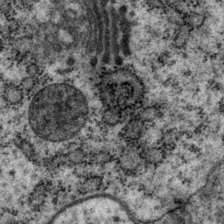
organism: P. pacificus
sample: Pharynx